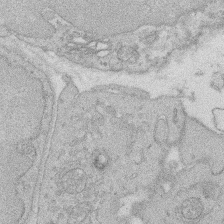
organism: Rat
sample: Salivary granule